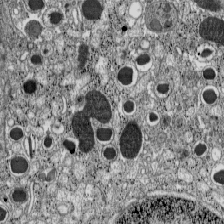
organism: C57BL Mouse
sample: Pancreatic islet